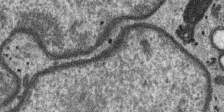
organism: Human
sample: Lung epithelial cells infected with SARS-CoV-2